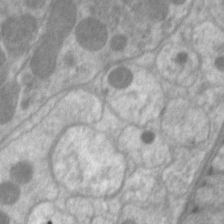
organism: C. elegans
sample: Pharynx